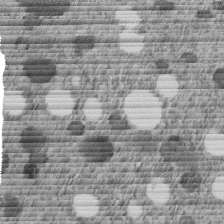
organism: C. elegans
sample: C. elegans embryo early stage